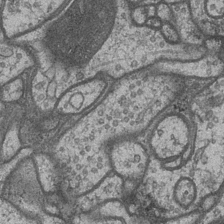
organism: Drosophila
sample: Optic medulla